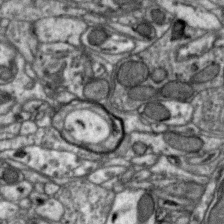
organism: Zebra finch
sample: Brain